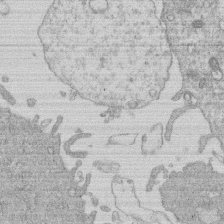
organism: Human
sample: Macrophage cells